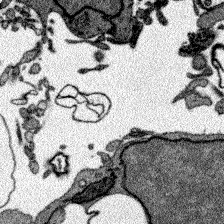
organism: Zebrafish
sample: Larval olfactory bulb